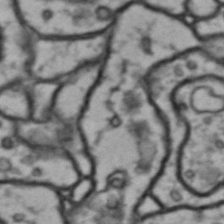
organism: Drosophila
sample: Brain